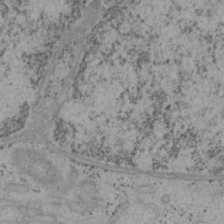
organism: Human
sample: HeLa cells